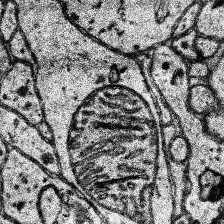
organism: Human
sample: Temporal Lobe